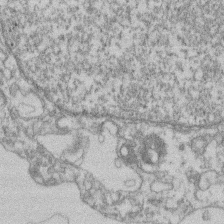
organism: Mouse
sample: T cell stromal cell synapse